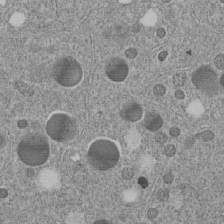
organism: C. elegans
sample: C. elegans embryo early stage